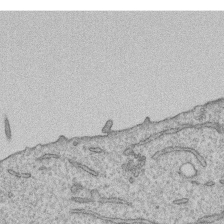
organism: Human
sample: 1205lu cells